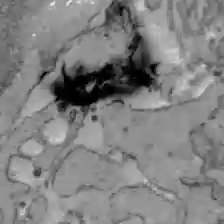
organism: C57BL Mouse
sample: Liver